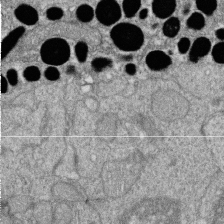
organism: Zebrafish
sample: Cilia; retinal pigment epithelium